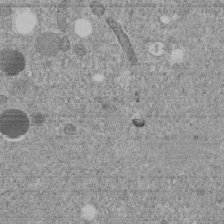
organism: C. elegans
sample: C. elegans embryo early stage